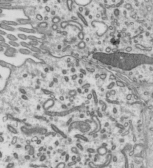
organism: Mouse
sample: Mouse epididymis efferent ductule cilia